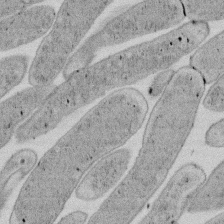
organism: E. coli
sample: Bacterial nucleoid